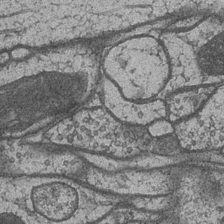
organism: Drosophila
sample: Optic medulla